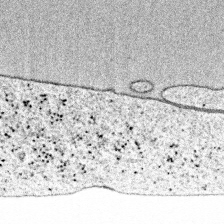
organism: Human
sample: HeLa cells